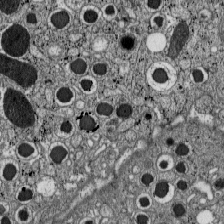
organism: C57BL Mouse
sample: Pancreatic islet